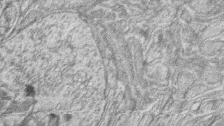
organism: Zebrafish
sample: synaptic ribbons in rod cells and cone cells